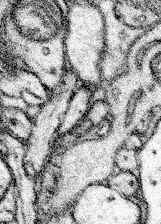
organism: Mouse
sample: Somatosensory cortex neuropil